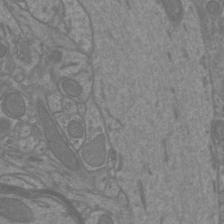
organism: Mouse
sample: Cortical neurons